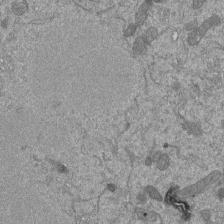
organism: Mouse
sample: ED-1 cell nuclei; centrioles